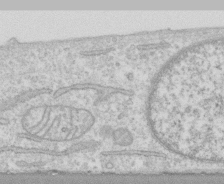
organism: Human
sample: CRL-1474